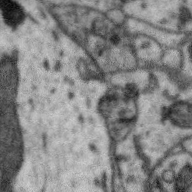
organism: Zebra finch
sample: Brain